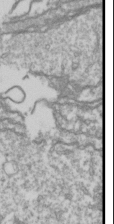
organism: Drosophila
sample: Cell division; meiosis; drosophila spermatocytes